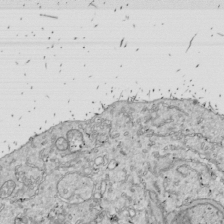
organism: Drosophila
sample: Cell division; meiosis; drosophila spermatocytes